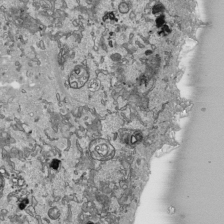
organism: Human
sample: Mitochondria in HCT116 cells